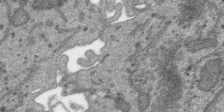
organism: Human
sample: Lung epithelial cells infected with SARS-CoV-2